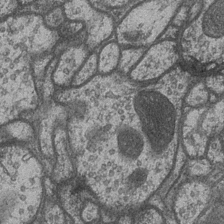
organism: Drosophila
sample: Optic medulla